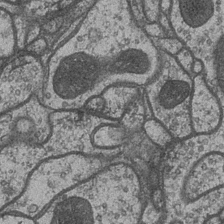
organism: Drosophila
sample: Optic medulla